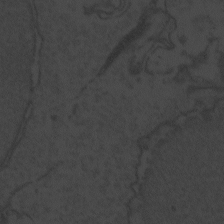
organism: Zebrafish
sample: Macrophage infected with Toxoplasma gondii